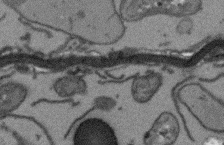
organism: Arabidopsis thaliana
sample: Root tip